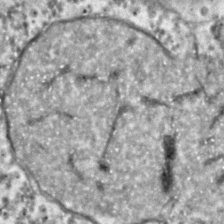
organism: C. elegans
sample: C. elegans embryo